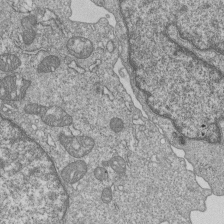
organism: Human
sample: MDA-MB-231 cells